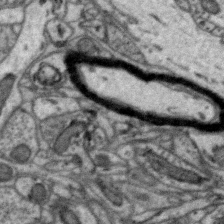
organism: Zebra finch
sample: Brain